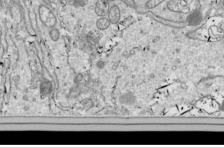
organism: Drosophila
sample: Cell division; meiosis; drosophila spermatocytes